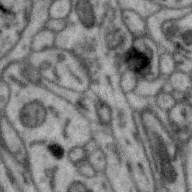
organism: Zebra finch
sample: Brain